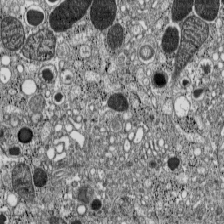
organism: C57BL Mouse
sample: Pancreatic islet